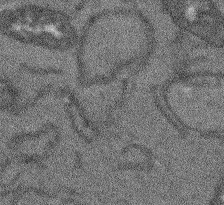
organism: Arabidopsis thaliana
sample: Root tip